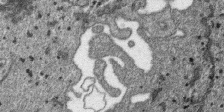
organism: Human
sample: Lung epithelial cells infected with SARS-CoV-2